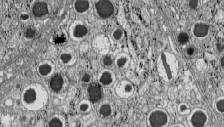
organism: C57BL Mouse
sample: Pancreatic islet